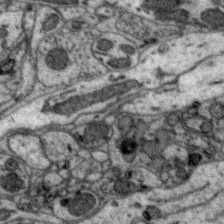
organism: Zebra finch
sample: Brain